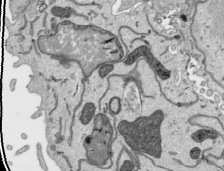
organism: Human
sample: Mitochondria in HCT116 cells